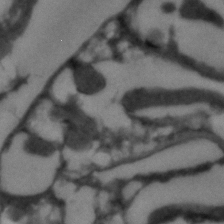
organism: C. elegans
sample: C. elegans embryo